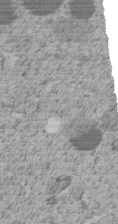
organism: C. elegans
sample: C. elegans embryo early stage